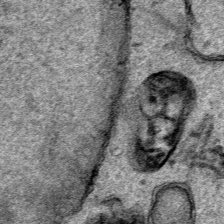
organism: Human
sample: Mitochondria in HCT116 cells